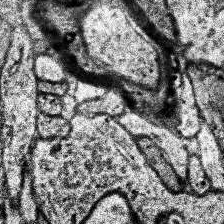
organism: Human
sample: Temporal Lobe